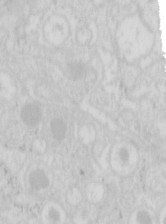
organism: Mouse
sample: Pancreas